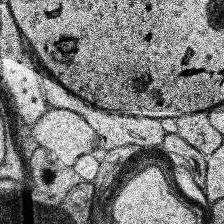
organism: Human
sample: Temporal Lobe